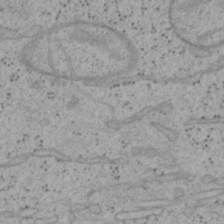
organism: Human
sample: HeLa cells